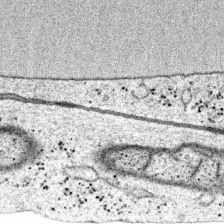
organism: Human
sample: HeLa cells